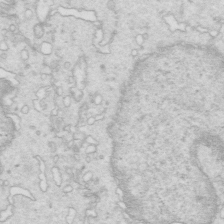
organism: Mouse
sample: Multiciliated cells